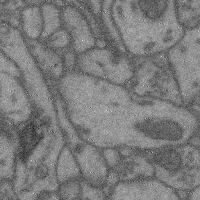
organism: Mouse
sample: Cerebral cortex